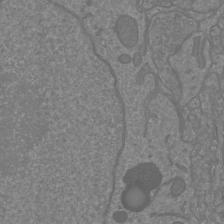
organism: Mouse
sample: Cortical neurons